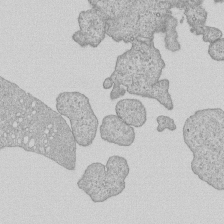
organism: Human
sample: MDA-MB-231 cells